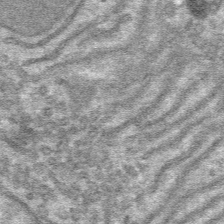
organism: Mouse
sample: Mouse hepatocytes